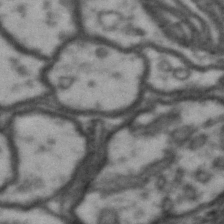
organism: Drosophila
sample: Brain